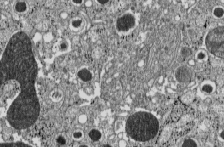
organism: C57BL Mouse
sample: Pancreatic islet